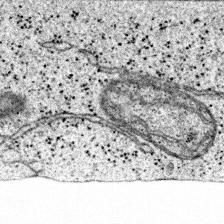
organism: Human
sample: HeLa cells